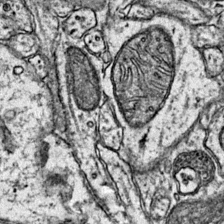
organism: Mouse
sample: Primary visual cortex